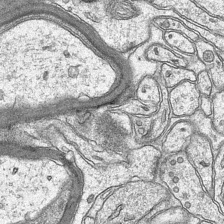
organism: Mouse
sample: CA1 Hippocampus